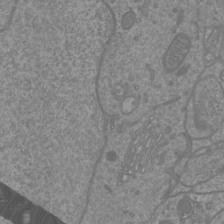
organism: Mouse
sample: Cortical neurons